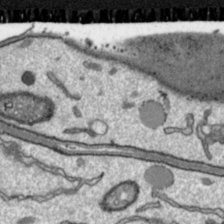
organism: Toxoplasma gondii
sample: Parasites in a vacuole inside a host cell